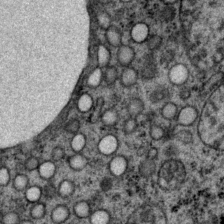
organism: P. pacificus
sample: Pharynx